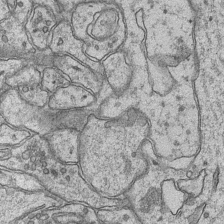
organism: Mouse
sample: CA1 Hippocampus